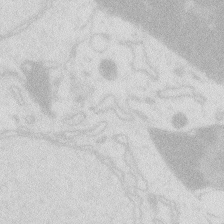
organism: Zebrafish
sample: Macrophage